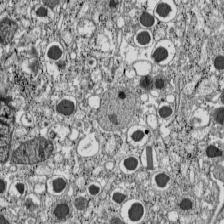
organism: C57BL Mouse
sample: Pancreatic islet